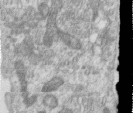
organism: Human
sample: Centriole in RPE cells